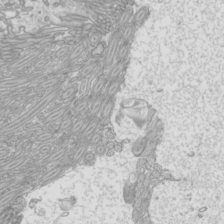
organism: Mouse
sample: Cilia; mouse epididymis